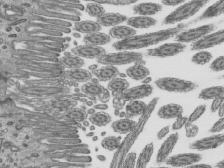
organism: Mouse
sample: Mouse epididymis efferent ductule cilia